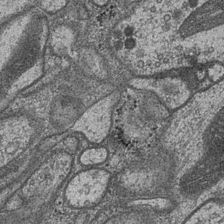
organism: Drosophila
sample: Optic medulla